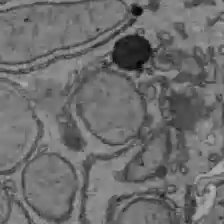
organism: C57BL Mouse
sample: Liver